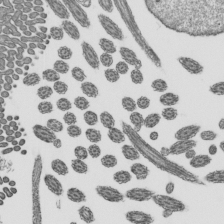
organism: Mouse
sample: Mouse epididymis efferent ductule cilia